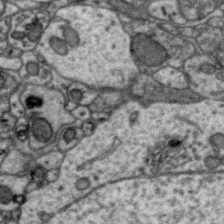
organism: Zebra finch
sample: Brain